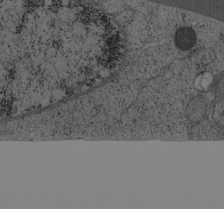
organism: African green monkey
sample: COS-7 cells